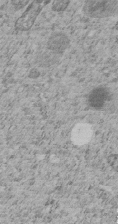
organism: C. elegans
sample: C. elegans embryo early stage